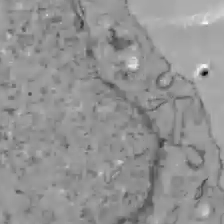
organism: C57BL Mouse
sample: Liver